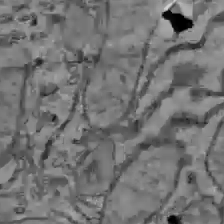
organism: C57BL Mouse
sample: Liver